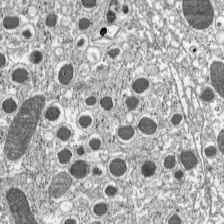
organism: C57BL Mouse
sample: Pancreatic islet